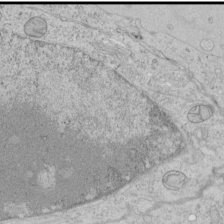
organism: Human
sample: Mitochondria in HCT116 cells